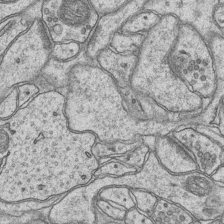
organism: Mouse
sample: CA1 Hippocampus